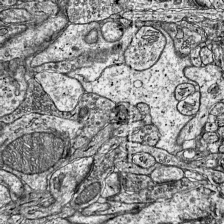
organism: Mouse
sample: Visual Cortex